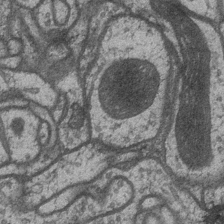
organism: Drosophila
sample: Optic medulla